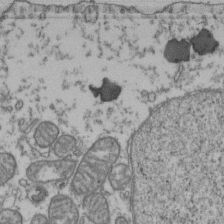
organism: Human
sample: Activated Jurkat CD4+ T cells